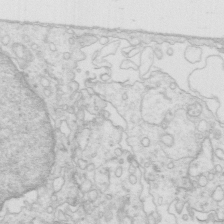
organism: Mouse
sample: Multiciliated cells